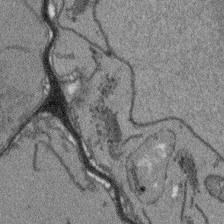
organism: Arabidopsis thaliana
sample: Root tip